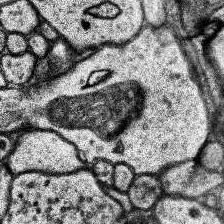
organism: Human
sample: Temporal Lobe